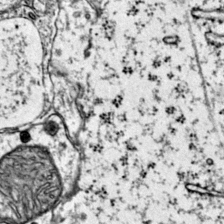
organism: Mouse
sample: Primary visual cortex